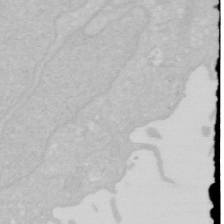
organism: Human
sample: HIV infected U937 cells